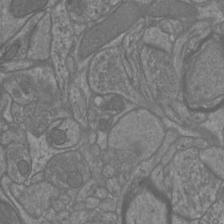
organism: Mouse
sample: Cortical neurons